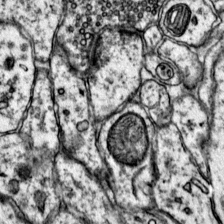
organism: Mouse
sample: Primary visual cortex